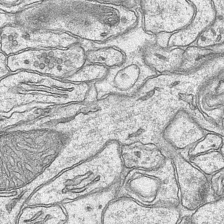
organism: Mouse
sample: CA1 Hippocampus